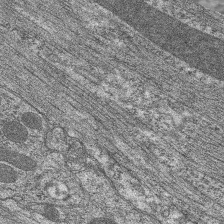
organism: C. elegans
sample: Pharynx